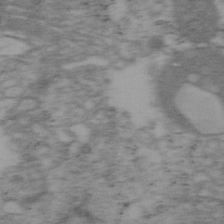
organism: Mouse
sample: OT-I killer T cells with ID8 ovarian cancer cells